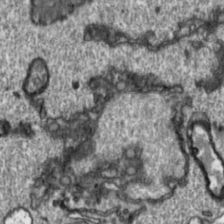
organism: Toxoplasma gondii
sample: Parasites in a vacuole inside a host cell